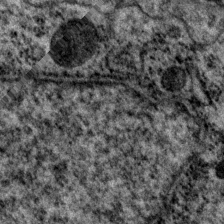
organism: P. pacificus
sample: Pharynx